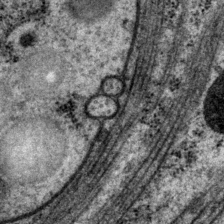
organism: P. pacificus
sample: Pharynx